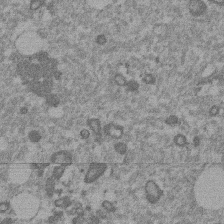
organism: Mouse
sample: Dividing mouse embryo 1 cell stage